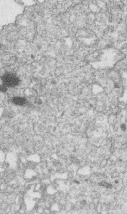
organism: Human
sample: HeLa cell HIV synapse